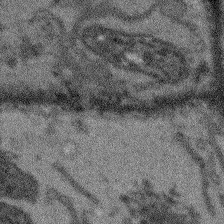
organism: Arabidopsis thaliana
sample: Root tip